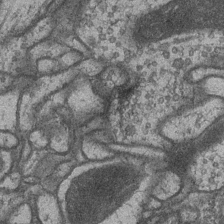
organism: Drosophila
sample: Optic medulla